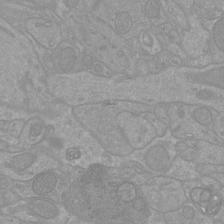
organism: Mouse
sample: Cortical neurons